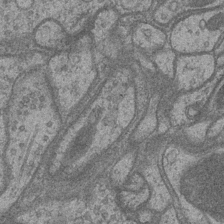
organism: Drosophila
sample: Optic medulla